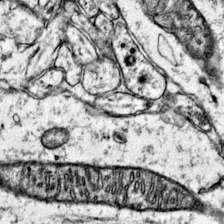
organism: Mouse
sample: Primary visual cortex